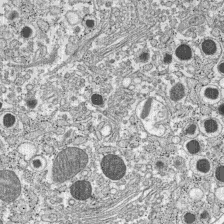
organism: C57BL Mouse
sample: Pancreatic islet